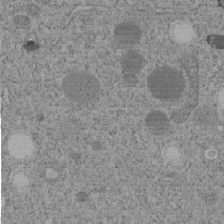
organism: C. elegans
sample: C. elegans embryo early stage